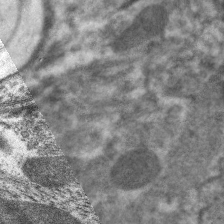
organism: C. elegans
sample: Pharynx